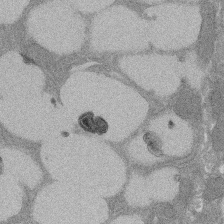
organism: Rat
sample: Salivary granule